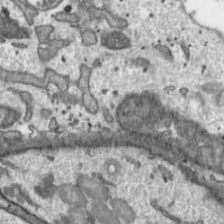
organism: Toxoplasma gondii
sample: Parasites in a vacuole inside a host cell